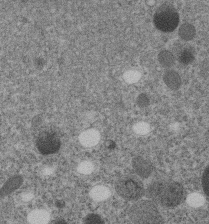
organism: C. elegans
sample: C. elegans embryo early stage